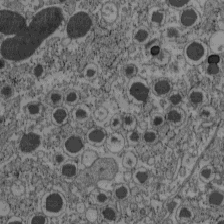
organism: C57BL Mouse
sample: Pancreatic islet